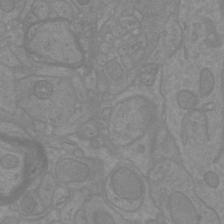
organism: Mouse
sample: Cortical neurons